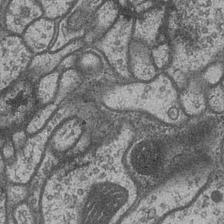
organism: Drosophila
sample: Optic medulla